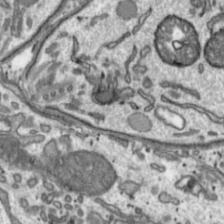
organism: Toxoplasma gondii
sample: Parasites in a vacuole inside a host cell